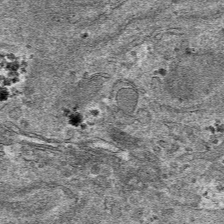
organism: Mouse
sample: Mouse hepatocytes